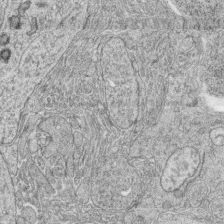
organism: Zebrafish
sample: synaptic ribbons in rod cells and cone cells